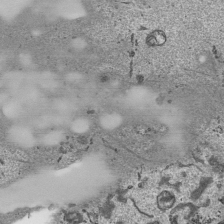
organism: Human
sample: Mitochondria in HCT116 cells